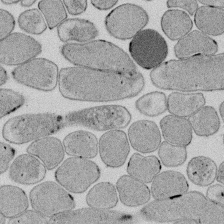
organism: E. coli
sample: Bacterial nucleoid